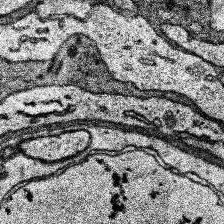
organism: Human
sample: Temporal Lobe